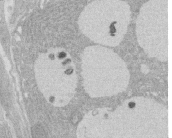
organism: Rat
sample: Salivary granule